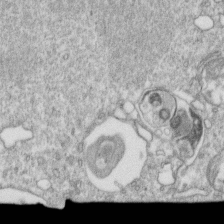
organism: Mouse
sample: Activated OT-1 CD8+ T cells